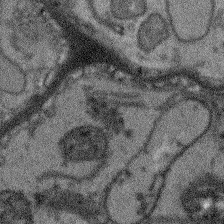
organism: Arabidopsis thaliana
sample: Root tip